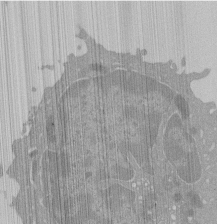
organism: Mouse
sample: Activated Pmel transgenic CD8+ T Cells